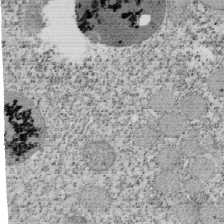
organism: Tetrahymena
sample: Cilia in tetrahymena